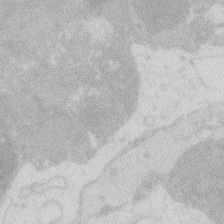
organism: Zebrafish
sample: Macrophage